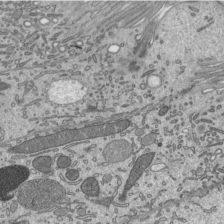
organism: Mouse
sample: Mouse epididymis efferent ductule cilia